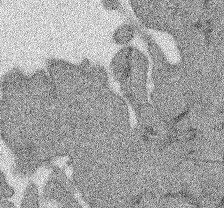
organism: Human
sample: HeLa cells